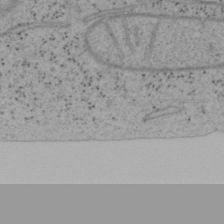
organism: Human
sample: HeLa cells